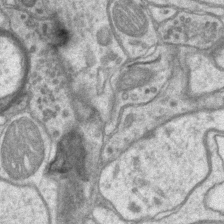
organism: Mouse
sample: CA1 Hippocampus